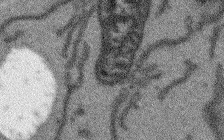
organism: Arabidopsis thaliana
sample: Root tip